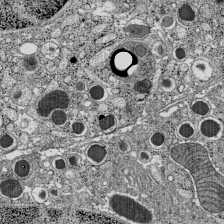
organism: C57BL Mouse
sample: Pancreatic islet